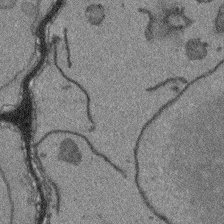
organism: Arabidopsis thaliana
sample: Root tip